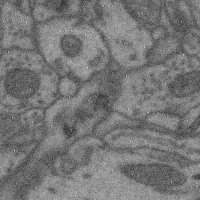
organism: Mouse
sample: Cerebral cortex